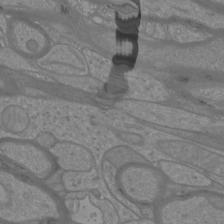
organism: Mouse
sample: Cortical neurons